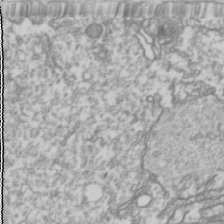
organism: Drosophila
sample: Cell division; meiosis; drosophila spermatocytes